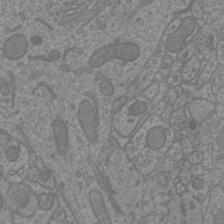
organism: Mouse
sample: Cortical neurons